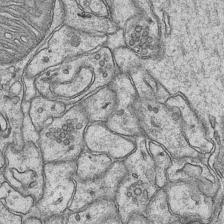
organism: Mouse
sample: CA1 Hippocampus